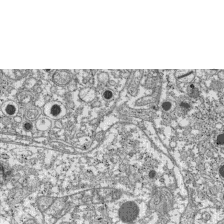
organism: C57BL Mouse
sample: Pancreatic islet